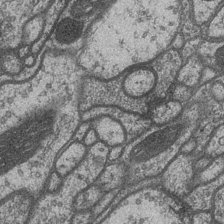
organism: Drosophila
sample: Optic medulla